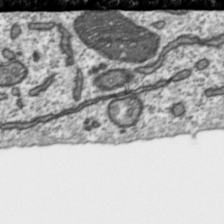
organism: Toxoplasma gondii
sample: Parasites in a vacuole inside a host cell